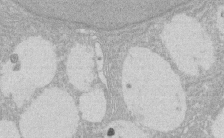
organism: Rat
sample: Salivary granule